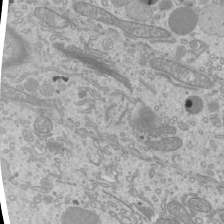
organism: Mouse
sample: Cilia; mouse epididymis